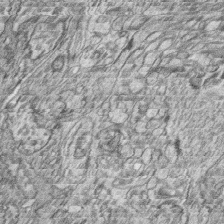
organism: Zebrafish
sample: synaptic ribbons in rod cells and cone cells